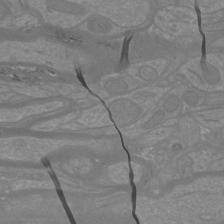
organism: Mouse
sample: Cortical neurons